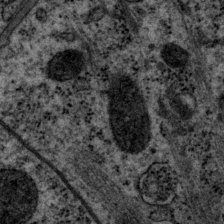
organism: P. pacificus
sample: Pharynx